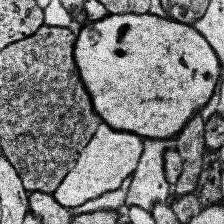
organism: Human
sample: Temporal Lobe